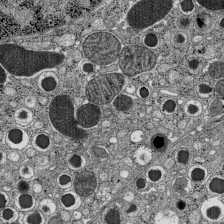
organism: C57BL Mouse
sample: Pancreatic islet